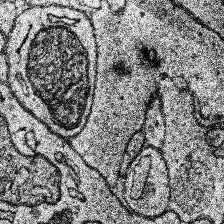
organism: Human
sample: Temporal Lobe